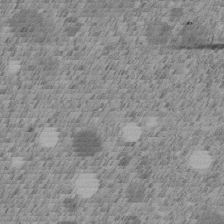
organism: C. elegans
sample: C. elegans embryo early stage